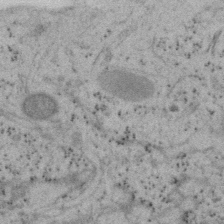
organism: Human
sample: HeLa cells